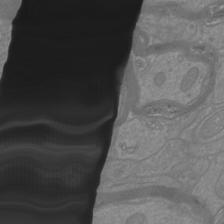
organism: Mouse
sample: Cortical neurons